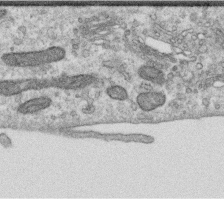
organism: Human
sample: Centriole in RPE cells